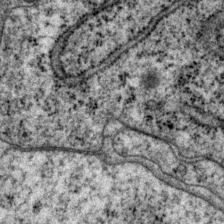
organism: P. pacificus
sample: Pharynx